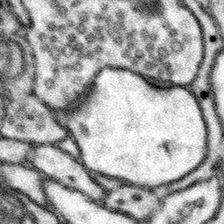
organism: Mouse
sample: Somatosensory cortex neuropil